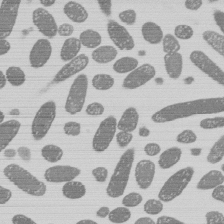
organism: E. coli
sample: Bacterial nucleoid